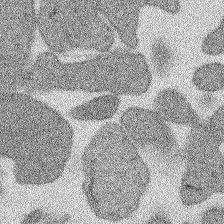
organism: Human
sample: HeLa cells